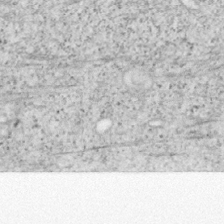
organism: Mouse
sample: OT-I killer T cells with ID8 ovarian cancer cells